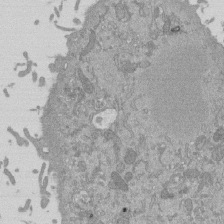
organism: Mouse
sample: ED-1 cell nuclei; centrioles